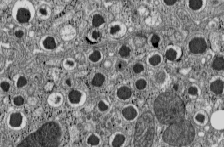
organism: C57BL Mouse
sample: Pancreatic islet